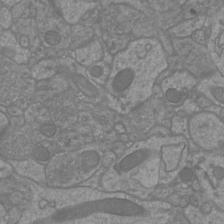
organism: Mouse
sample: Cortical neurons